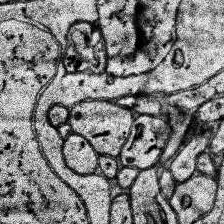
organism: Human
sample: Temporal Lobe